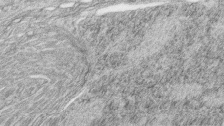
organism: Zebrafish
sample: synaptic ribbons in rod cells and cone cells